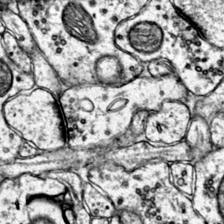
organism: Mouse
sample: Primary visual cortex